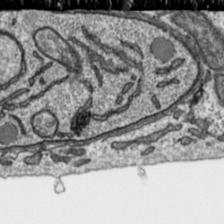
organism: Toxoplasma gondii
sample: Parasites in a vacuole inside a host cell